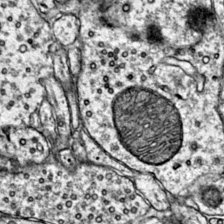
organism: Mouse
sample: Primary visual cortex